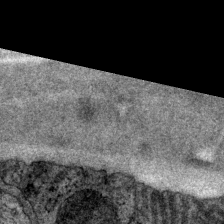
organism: P. pacificus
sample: Pharynx